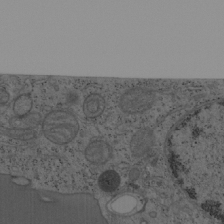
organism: Human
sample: HeLa cells